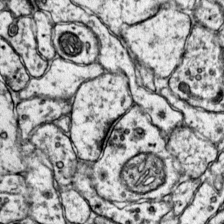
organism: Mouse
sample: Primary visual cortex